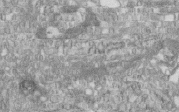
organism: Human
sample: Centriole in fibroblast cells